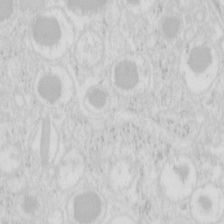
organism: Mouse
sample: Pancreas